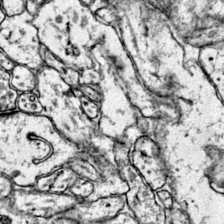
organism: Mouse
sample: Primary visual cortex